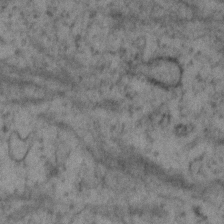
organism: Human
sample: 1205lu cells